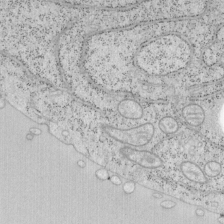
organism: Mouse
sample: OT-I killer T cells with ID8 ovarian cancer cells